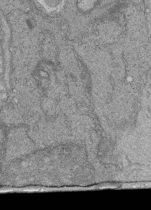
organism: Human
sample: Retinal organoid Rod and Cone cells